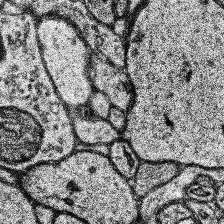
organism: Human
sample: Temporal Lobe